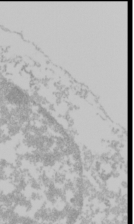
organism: Mouse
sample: Cancer cell death in ED-1 cells